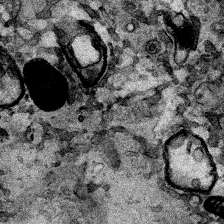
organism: Human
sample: Mitochondria in HCT116 cells